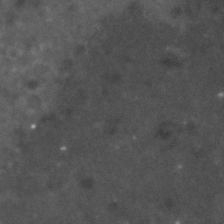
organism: Human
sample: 1205lu cells